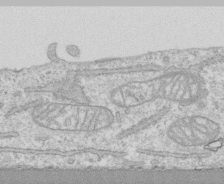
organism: Human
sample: CRL-1474